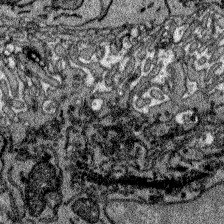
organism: Zebrafish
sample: Larval olfactory bulb